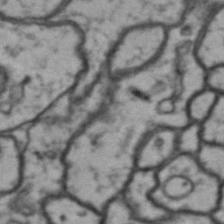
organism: Drosophila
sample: Brain